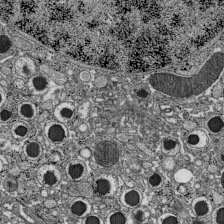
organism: C57BL Mouse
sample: Pancreatic islet